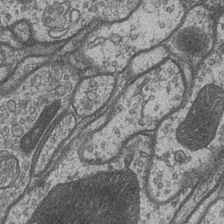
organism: Drosophila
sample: Optic medulla